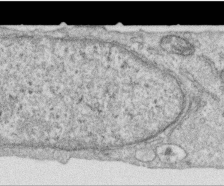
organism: Human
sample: Centriole in RPE cells